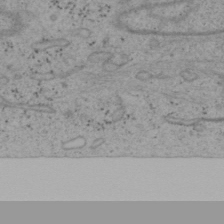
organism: Human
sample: HeLa cells